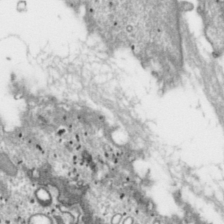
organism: Toxoplasma gondii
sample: Parasites in a vacuole inside a host cell